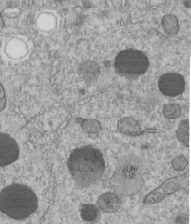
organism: C. elegans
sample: C. elegans embryo early stage